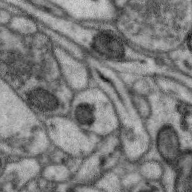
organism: Zebra finch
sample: Brain